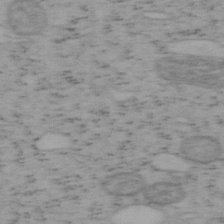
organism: Mouse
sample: OT-I killer T cells with ID8 ovarian cancer cells